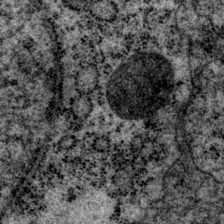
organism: P. pacificus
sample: Pharynx